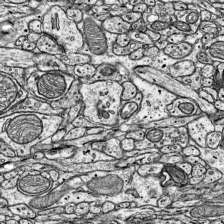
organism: Mouse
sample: Visual Cortex